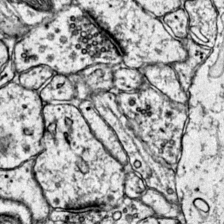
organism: Mouse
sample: Primary visual cortex